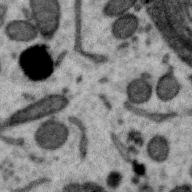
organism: Zebra finch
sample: Brain